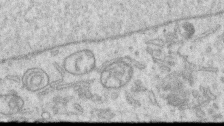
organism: Human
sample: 1205lu cells